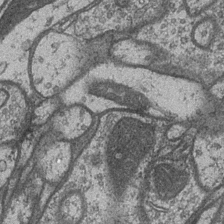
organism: Drosophila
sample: Optic medulla